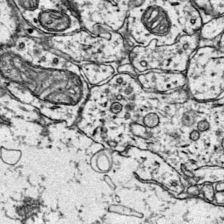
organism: Mouse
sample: Primary visual cortex